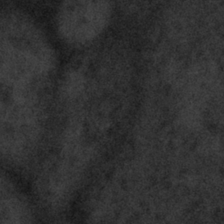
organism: Tuwongella immobilis